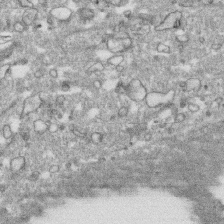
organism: Human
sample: CRL-1474